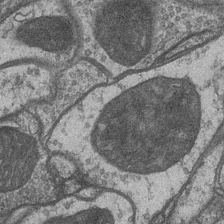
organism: Drosophila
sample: Optic medulla